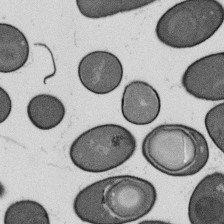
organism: B. subtilis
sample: Bacterial spore